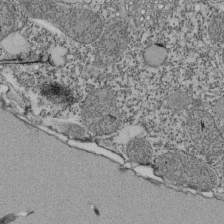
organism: Tetrahymena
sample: Cilia in tetrahymena